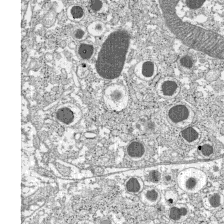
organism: C57BL Mouse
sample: Pancreatic islet